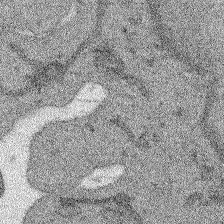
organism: Human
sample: HeLa cells